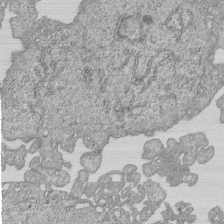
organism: Human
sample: MDA-MB-231 cells